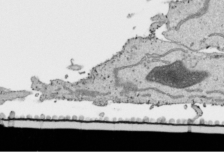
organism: Human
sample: Mitochondria in HCT116 cells